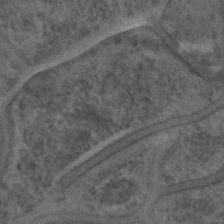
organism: C. elegans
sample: C. elegans embryo